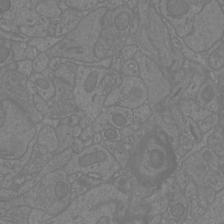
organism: Mouse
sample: Cortical neurons